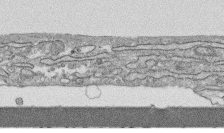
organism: Human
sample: CRL-1474